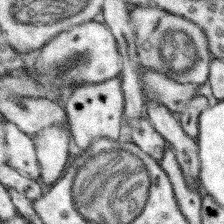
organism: Mouse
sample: Somatosensory cortex neuropil